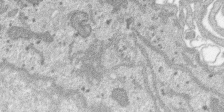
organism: Human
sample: Lung epithelial cells infected with SARS-CoV-2